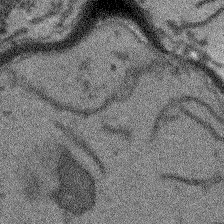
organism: Arabidopsis thaliana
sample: Root tip